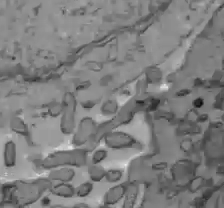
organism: C57BL Mouse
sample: Liver